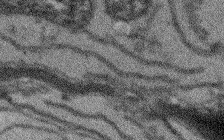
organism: Arabidopsis thaliana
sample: Root tip